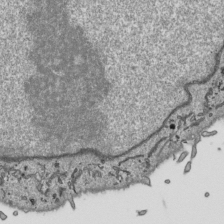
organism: Human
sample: Mitochondria in HCT116 cells